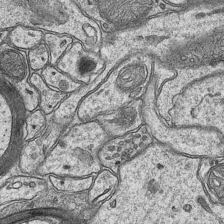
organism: Mouse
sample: CA1 Hippocampus